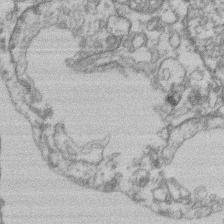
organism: Mouse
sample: T cell stromal cell synapse